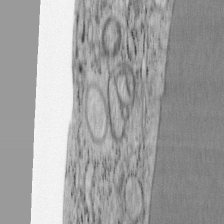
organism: Human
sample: HeLa cells